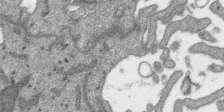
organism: Human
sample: Lung epithelial cells infected with SARS-CoV-2